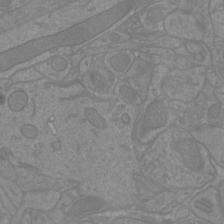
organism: Mouse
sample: Cortical neurons